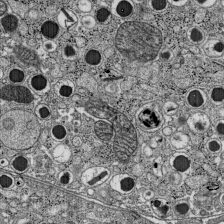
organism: C57BL Mouse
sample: Pancreatic islet